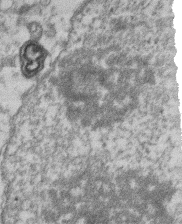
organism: Mouse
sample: T cell stromal cell synapse